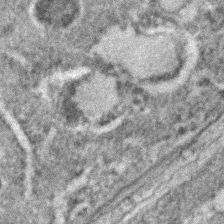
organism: C. elegans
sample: C. elegans embryo